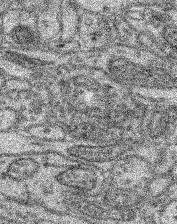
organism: Mouse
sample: Retina